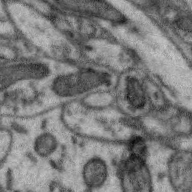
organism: Zebra finch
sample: Brain